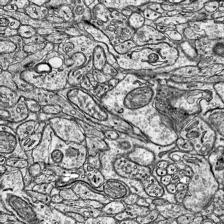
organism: Mouse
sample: Visual Cortex